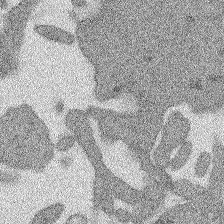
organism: Human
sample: HeLa cells